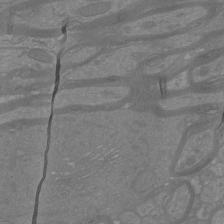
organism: Mouse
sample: Cortical neurons